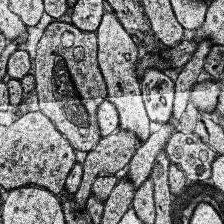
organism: Human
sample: Temporal Lobe